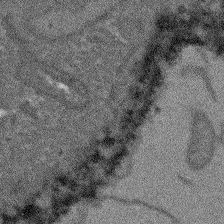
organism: Arabidopsis thaliana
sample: Root tip